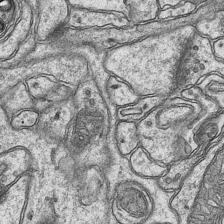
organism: Mouse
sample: CA1 Hippocampus